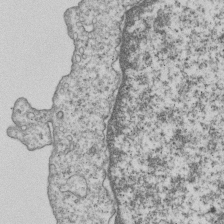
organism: Human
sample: MDA-MB-231 cells